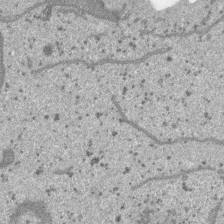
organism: Human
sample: Lung epithelial cells infected with SARS-CoV-2